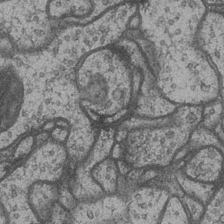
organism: Drosophila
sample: Optic medulla